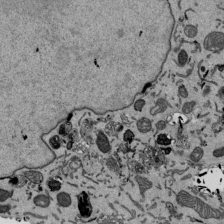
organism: Mouse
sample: ED-1 cell nuclei; centrioles